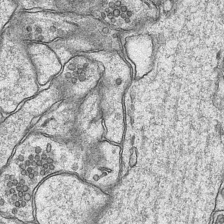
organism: Mouse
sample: CA1 Hippocampus